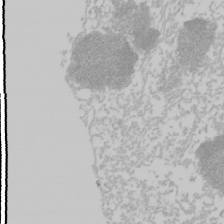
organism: Mouse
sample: Cancer cell death in ED-1 cells